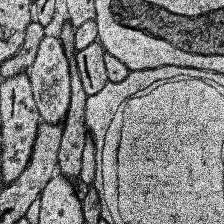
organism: Human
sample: Temporal Lobe